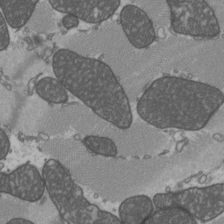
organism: C57BL Mouse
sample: Heart